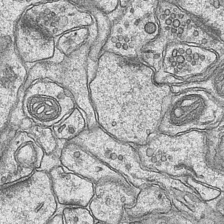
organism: Mouse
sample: CA1 Hippocampus